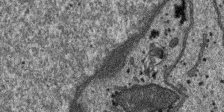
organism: Human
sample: Lung epithelial cells infected with SARS-CoV-2